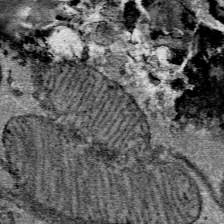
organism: Mouse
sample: Mouse Salivary gland